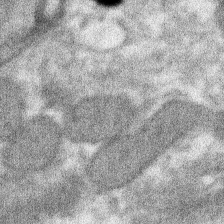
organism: Xenopus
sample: Cilia; centrioles in frog embryo cells